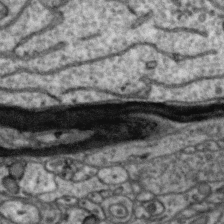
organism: Zebra finch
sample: Brain